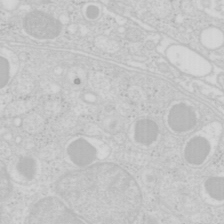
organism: Mouse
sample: Pancreas